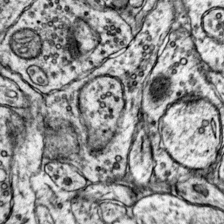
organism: Mouse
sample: Primary visual cortex